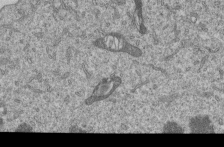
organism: Human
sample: MDA-MB-231 cells